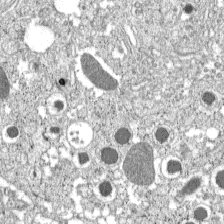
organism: C57BL Mouse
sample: Pancreatic islet